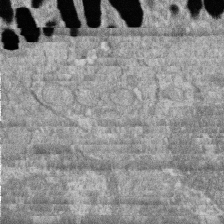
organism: Zebrafish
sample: Cilia; retinal pigment epithelium